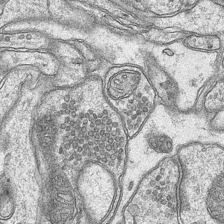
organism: Mouse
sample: CA1 Hippocampus